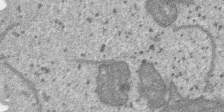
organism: Human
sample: Lung epithelial cells infected with SARS-CoV-2